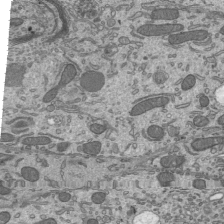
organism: Mouse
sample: Mouse epididymis efferent ductule cilia